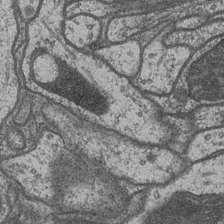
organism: Drosophila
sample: Optic medulla